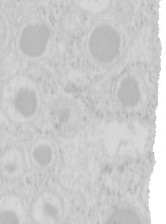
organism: Mouse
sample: Pancreas